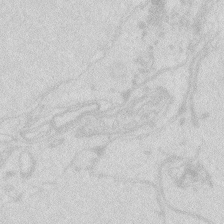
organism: Zebrafish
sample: Macrophage